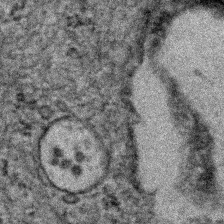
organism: Zebrafish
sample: Zebrafish embryo